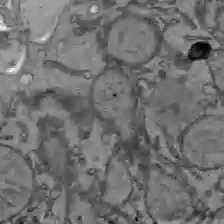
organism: C57BL Mouse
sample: Liver